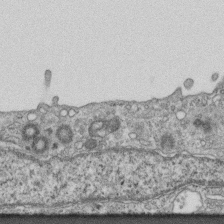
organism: Mouse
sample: Centriole in ependymal cells